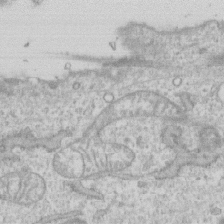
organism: Human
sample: CRL-1474